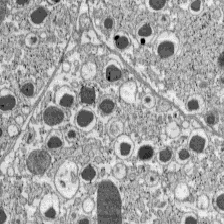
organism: C57BL Mouse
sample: Pancreatic islet